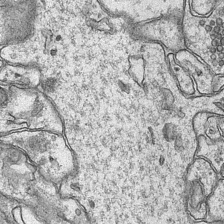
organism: Mouse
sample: CA1 Hippocampus